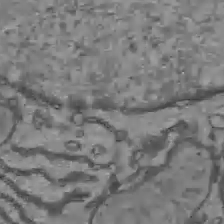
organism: C57BL Mouse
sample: Liver